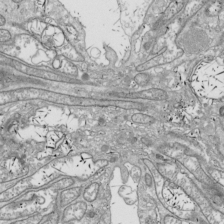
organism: Drosophila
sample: Cell division; meiosis; drosophila spermatocytes